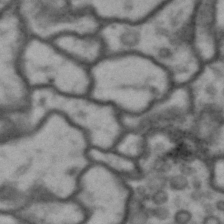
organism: Drosophila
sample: Brain